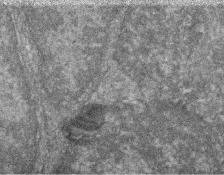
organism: Zebrafish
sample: Cilia; retinal pigment epithelium